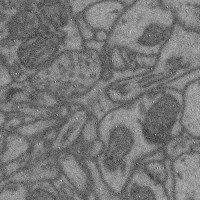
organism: Mouse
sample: Cerebral cortex